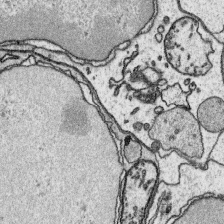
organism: Platynereis dumerilii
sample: Parapodia